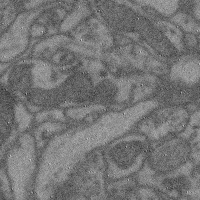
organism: Mouse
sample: Cerebral cortex